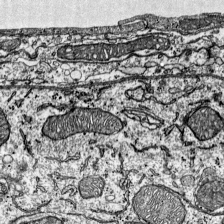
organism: Mouse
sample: Visual Cortex